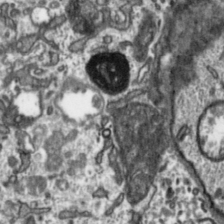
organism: Toxoplasma gondii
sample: Parasites in a vacuole inside a host cell